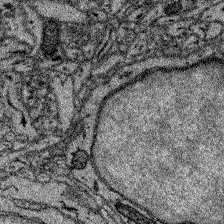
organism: Zebrafish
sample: Larval olfactory bulb